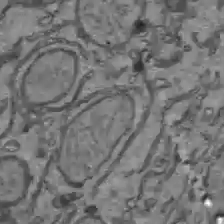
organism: C57BL Mouse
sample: Liver